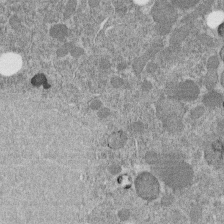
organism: C. elegans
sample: C. elegans embryo early stage